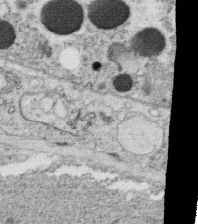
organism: C. elegans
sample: C. elegans oocyte; sperm cells